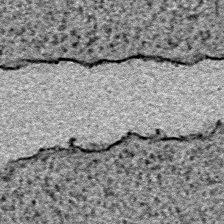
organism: E. coli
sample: E. Coli Bacteria